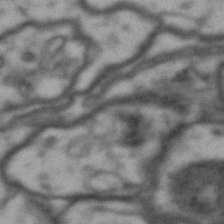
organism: Drosophila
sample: Brain